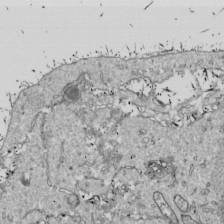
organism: Drosophila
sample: Cell division; meiosis; drosophila spermatocytes